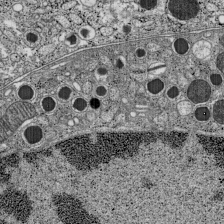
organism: C57BL Mouse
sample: Pancreatic islet